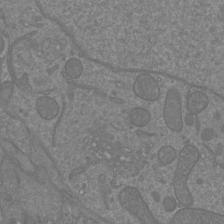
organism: Mouse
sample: Cortical neurons